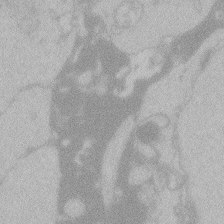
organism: Zebrafish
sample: Macrophage infected with Toxoplasma gondii